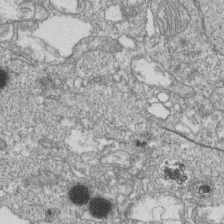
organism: Human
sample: HeLa cell HIV synapse